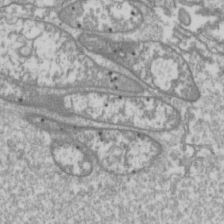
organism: Drosophila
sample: Cell division; meiosis; drosophila spermatocytes